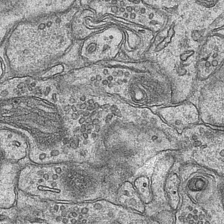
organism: Mouse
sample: CA1 Hippocampus